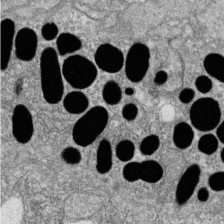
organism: Zebrafish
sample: Cilia; retinal pigment epithelium